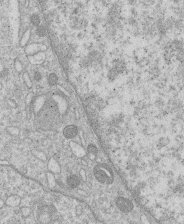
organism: Human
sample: Macrophage cells